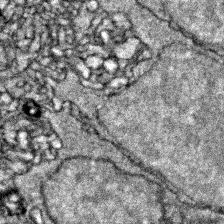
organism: Zebrafish